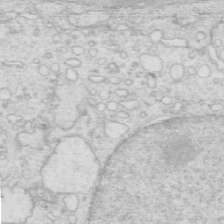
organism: Mouse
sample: Multiciliated cells